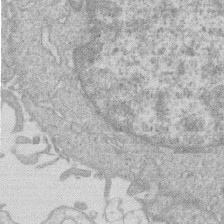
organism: Human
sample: Macrophage cells